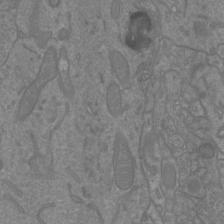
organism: Mouse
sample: Cortical neurons